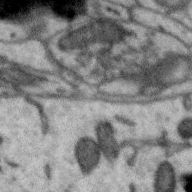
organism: Zebra finch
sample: Brain